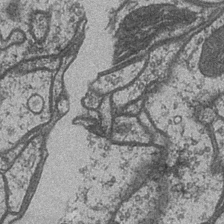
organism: Drosophila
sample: Optic medulla